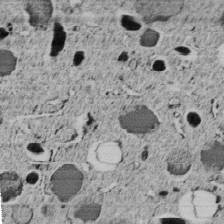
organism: C. elegans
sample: C. elegans embryo early stage